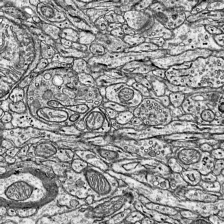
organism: Mouse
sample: Visual Cortex